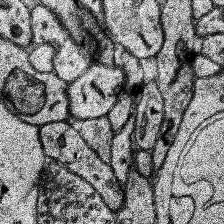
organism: Human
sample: Temporal Lobe